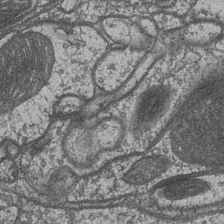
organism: Drosophila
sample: Optic medulla